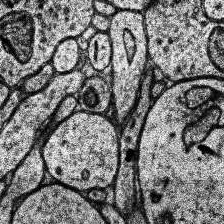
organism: Human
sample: Temporal Lobe